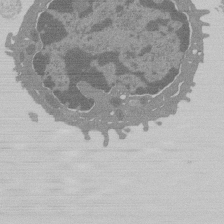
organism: Mouse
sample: Activated Pmel transgenic CD8+ T Cells